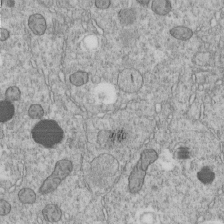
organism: C. elegans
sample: C. elegans embryo early stage